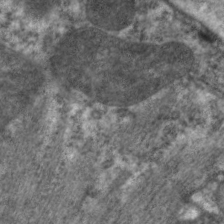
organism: C. elegans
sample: Pharynx